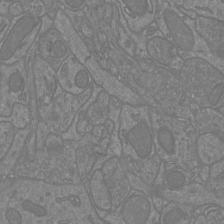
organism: Mouse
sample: Cortical neurons